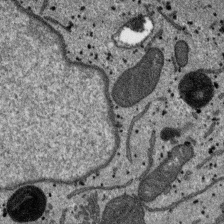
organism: Human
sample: Lung epithelial cells, uninfected (mock) control